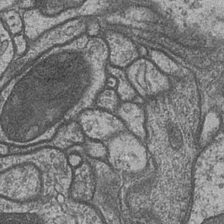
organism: Drosophila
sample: Optic medulla